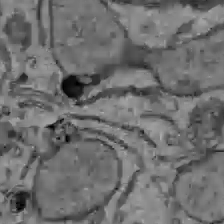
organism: C57BL Mouse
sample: Liver